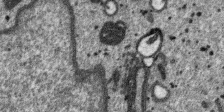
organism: Human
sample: Lung epithelial cells infected with SARS-CoV-2